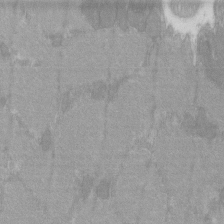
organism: C57BL Mouse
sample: Tibialis anterior muscle cell